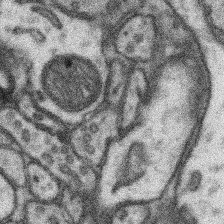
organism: Mouse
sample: Somatosensory cortex neuropil